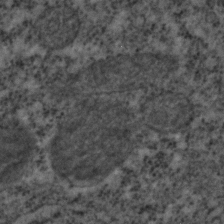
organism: C. elegans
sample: C. elegans embryo